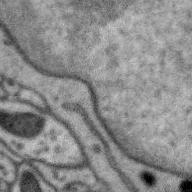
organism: Zebra finch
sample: Brain